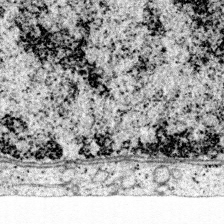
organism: Human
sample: HeLa cells